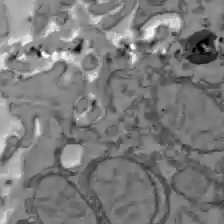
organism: C57BL Mouse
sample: Liver